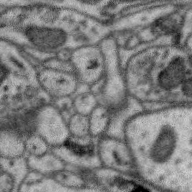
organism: Zebra finch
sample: Brain